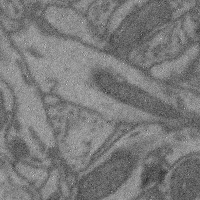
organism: Mouse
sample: Cerebral cortex